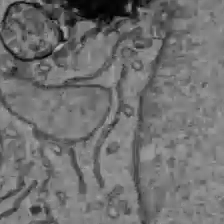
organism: C57BL Mouse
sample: Liver